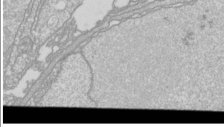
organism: Drosophila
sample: Cell division; meiosis; drosophila spermatocytes